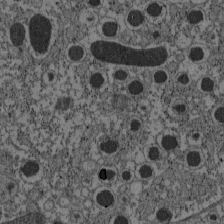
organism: C57BL Mouse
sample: Pancreatic islet